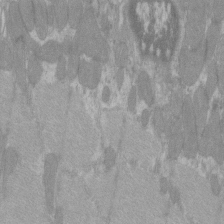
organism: C57BL Mouse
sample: Tibialis anterior muscle cell